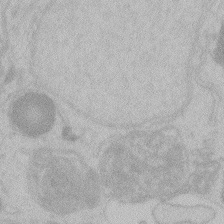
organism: Zebrafish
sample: Macrophage infected with Toxoplasma gondii